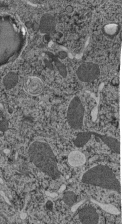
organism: C. elegans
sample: C. elegans pharynx